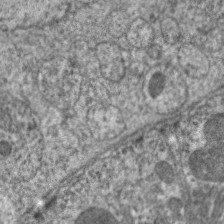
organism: C. elegans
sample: Pharynx